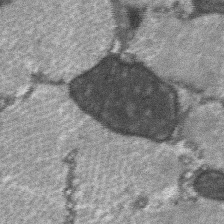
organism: C57BL Mouse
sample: Soleus